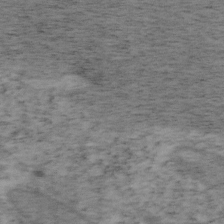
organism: Mouse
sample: OT-I killer T cells with ID8 ovarian cancer cells